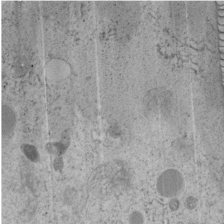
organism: C. elegans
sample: C. elegans embryo early stage